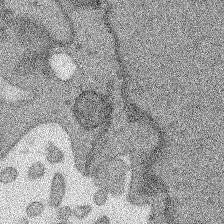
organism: Human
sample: HeLa cells